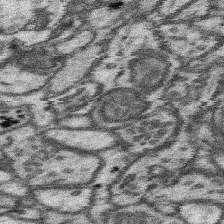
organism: Mouse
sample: Somatosensory cortex neuropil